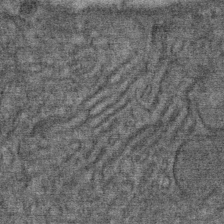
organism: Mouse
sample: Mouse Salivary gland